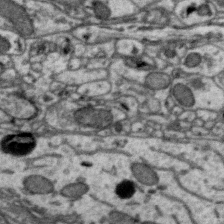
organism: Zebra finch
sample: Brain